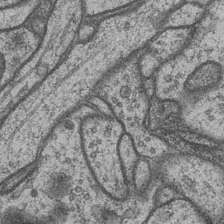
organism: Drosophila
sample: Optic medulla